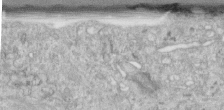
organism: Human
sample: Centriole in RPE cells